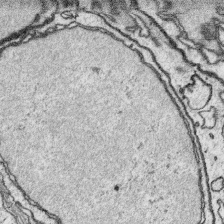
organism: Platynereis dumerilii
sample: Parapodia